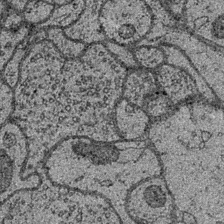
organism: Drosophila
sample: Optic medulla